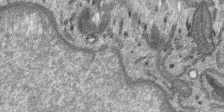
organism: Human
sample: Lung epithelial cells infected with SARS-CoV-2